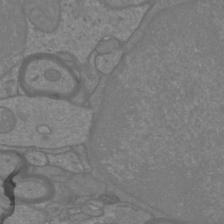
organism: Mouse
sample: Cortical neurons